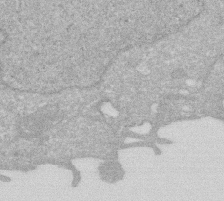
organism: Human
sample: HIV infected U937 cells